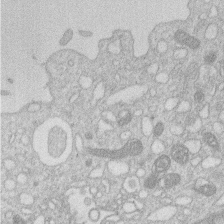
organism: Human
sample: Macrophage cells